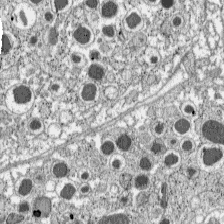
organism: C57BL Mouse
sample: Pancreatic islet